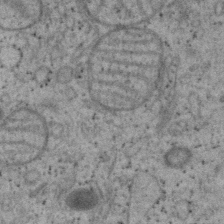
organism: Human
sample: HeLa cells